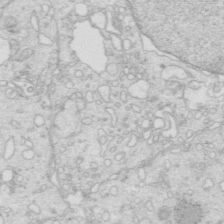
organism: Mouse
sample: Multiciliated cells